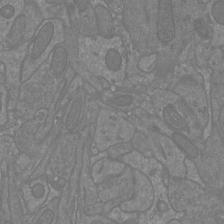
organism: Mouse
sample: Cortical neurons